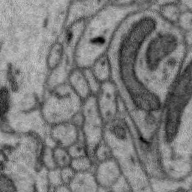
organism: Zebra finch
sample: Brain